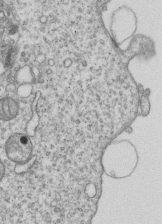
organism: Human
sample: MDA-MB-231 cells